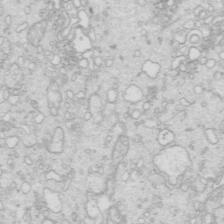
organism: Mouse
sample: Multiciliated cells